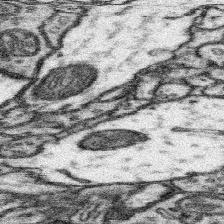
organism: Mouse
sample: Somatosensory cortex neuropil